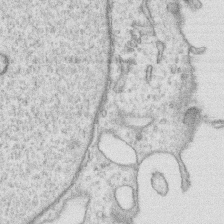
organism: Human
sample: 1205lu cells